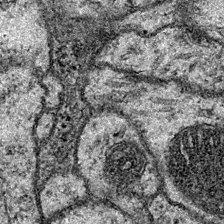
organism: Drosophila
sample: Ventral Nerve Cord